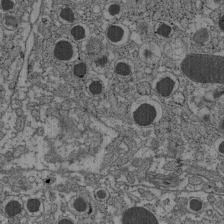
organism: C57BL Mouse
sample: Pancreatic islet